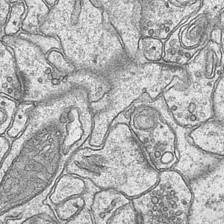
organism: Mouse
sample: CA1 Hippocampus